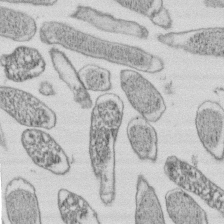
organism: E. coli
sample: Bacterial nucleoid